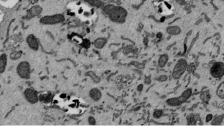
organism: Mouse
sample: ED-1 cell nuclei; centrioles